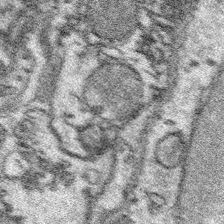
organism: Platynereis dumerilii